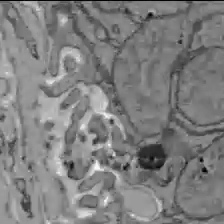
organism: C57BL Mouse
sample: Liver